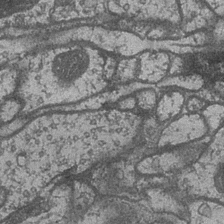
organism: Drosophila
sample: Optic medulla